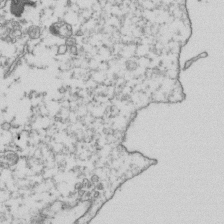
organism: Human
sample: Activated Jurkat CD4+ T cells